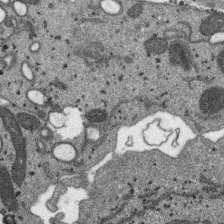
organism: Human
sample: Lung epithelial cells infected with SARS-CoV-2